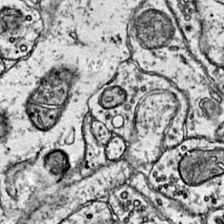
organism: Mouse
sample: Primary visual cortex